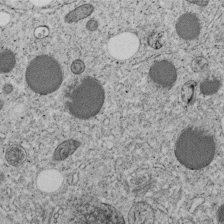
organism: C. elegans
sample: C. elegans embryo early stage